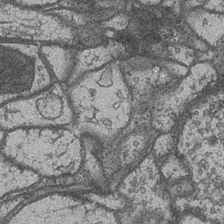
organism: Drosophila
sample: Optic medulla